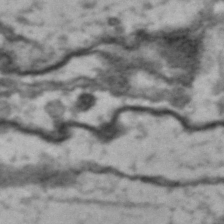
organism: Drosophila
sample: Brain